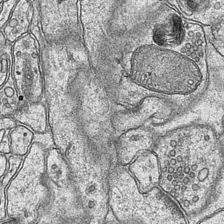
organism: Mouse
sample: CA1 Hippocampus